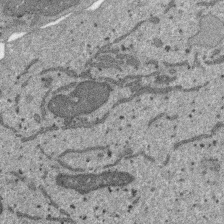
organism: Human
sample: Lung epithelial cells infected with SARS-CoV-2